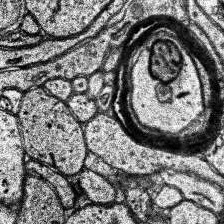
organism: Human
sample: Temporal Lobe